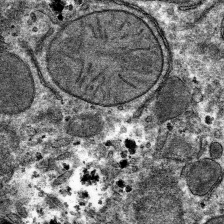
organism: Mouse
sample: Mouse hepatocytes